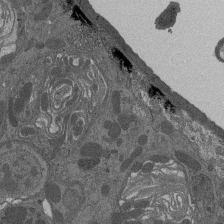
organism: Drosophila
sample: Antenna